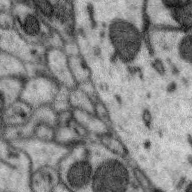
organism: Zebra finch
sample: Brain